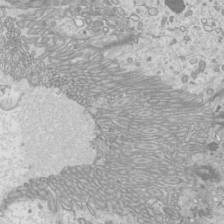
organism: Mouse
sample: Cilia; mouse epididymis